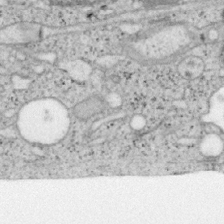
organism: Mouse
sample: OT-I killer T cells with ID8 ovarian cancer cells